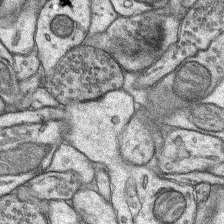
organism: Rat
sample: Hippocampus